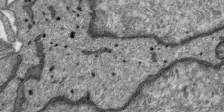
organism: Human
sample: Lung epithelial cells, uninfected (mock) control